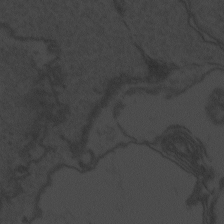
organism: Zebrafish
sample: Macrophage infected with Toxoplasma gondii